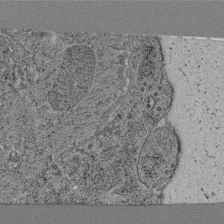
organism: C. elegans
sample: C. elegans pharynx